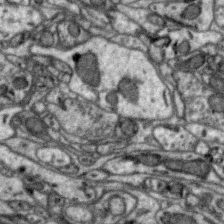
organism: Zebra finch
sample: Brain